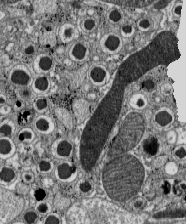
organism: C57BL Mouse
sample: Pancreatic islet